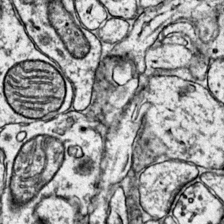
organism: Mouse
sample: Primary visual cortex